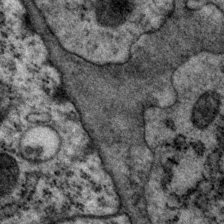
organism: P. pacificus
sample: Pharynx